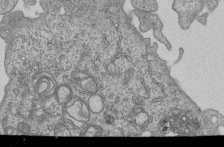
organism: Human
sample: MDA-MB-231 cells